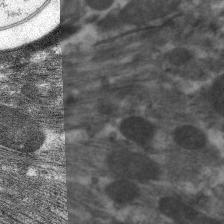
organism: C. elegans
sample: Pharynx